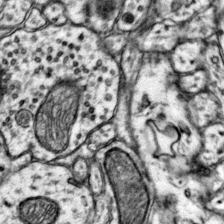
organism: Mouse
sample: Primary visual cortex